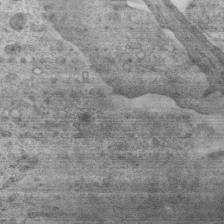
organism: Mouse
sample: Centriole in ependymal cells